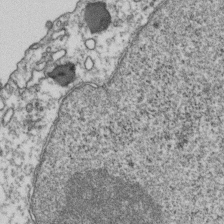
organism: Human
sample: Activated Jurkat CD4+ T cells